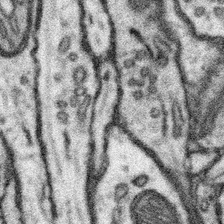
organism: Mouse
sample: Somatosensory cortex neuropil